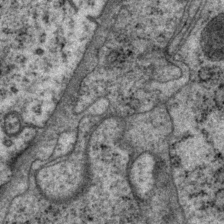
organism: P. pacificus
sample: Pharynx